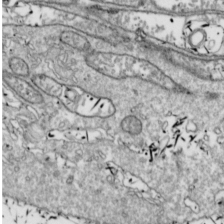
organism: Drosophila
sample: Cell division; meiosis; drosophila spermatocytes